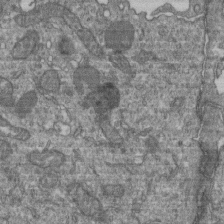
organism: Human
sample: Retinal organoid Rod and Cone cells